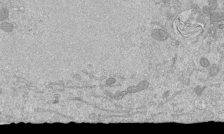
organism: Mouse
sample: ED-1 cell nuclei; centrioles